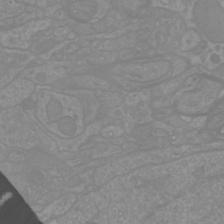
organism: Mouse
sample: Cortical neurons